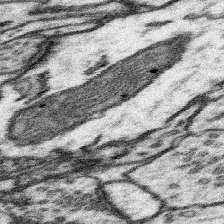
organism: Mouse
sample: Somatosensory cortex neuropil